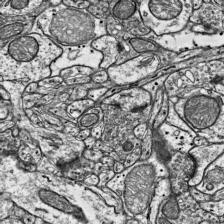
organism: Mouse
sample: Visual Cortex